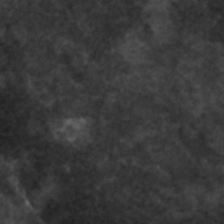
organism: C. elegans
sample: C. elegans embryo